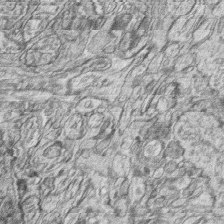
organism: Zebrafish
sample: synaptic ribbons in rod cells and cone cells